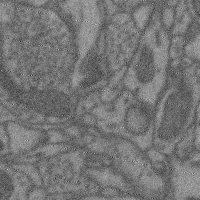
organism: Mouse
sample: Cerebral cortex